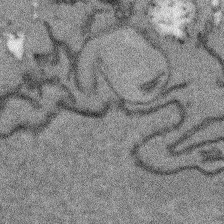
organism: Arabidopsis thaliana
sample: Root tip